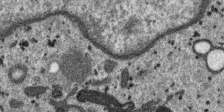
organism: Human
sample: Lung epithelial cells infected with SARS-CoV-2